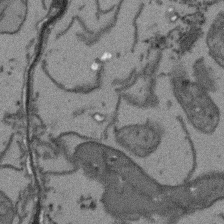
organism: Arabidopsis thaliana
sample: Root tip